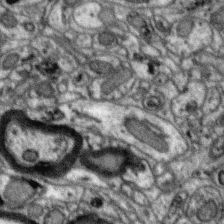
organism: Zebra finch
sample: Brain